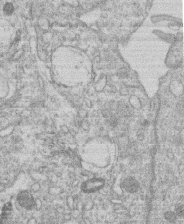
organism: Human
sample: Macrophage cells